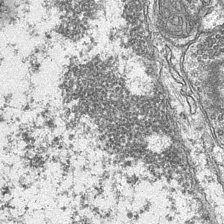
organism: Mouse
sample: CA1 Hippocampus